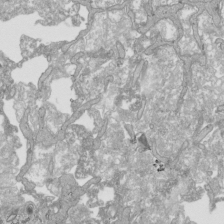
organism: Human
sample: Mitochondria in HCT116 cells